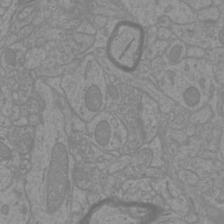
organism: Mouse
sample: Cortical neurons